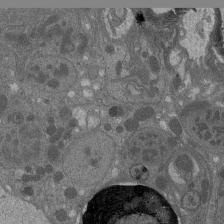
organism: Drosophila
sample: Antenna